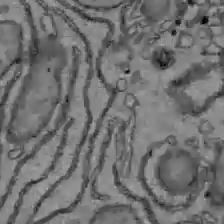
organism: C57BL Mouse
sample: Liver